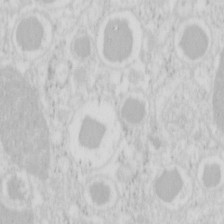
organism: Mouse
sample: Pancreas